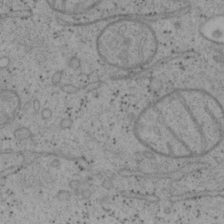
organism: Human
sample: HeLa cells